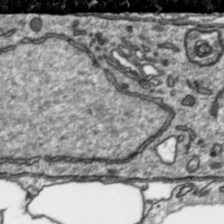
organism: Toxoplasma gondii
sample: Parasites in a vacuole inside a host cell